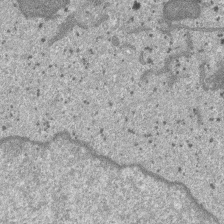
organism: Human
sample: Lung epithelial cells infected with SARS-CoV-2